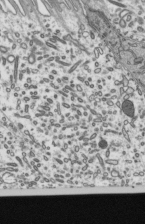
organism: Mouse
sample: Mouse epididymis efferent ductule cilia